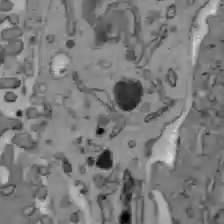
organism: C57BL Mouse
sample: Liver